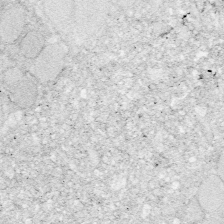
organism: Zebrafish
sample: Whole-Brain